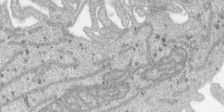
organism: Human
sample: Lung epithelial cells infected with SARS-CoV-2